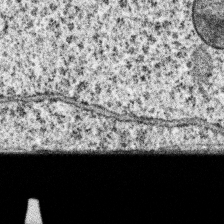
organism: Human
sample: HeLa cells